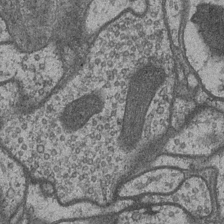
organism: Drosophila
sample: Optic medulla